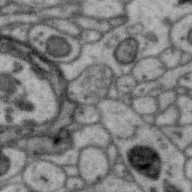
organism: Zebra finch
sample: Brain